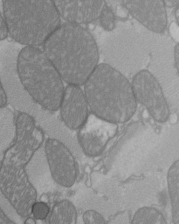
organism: C57BL Mouse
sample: Heart